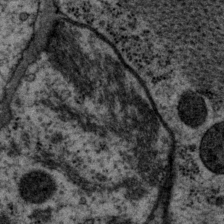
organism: P. pacificus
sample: Pharynx